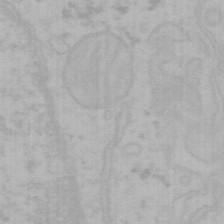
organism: Mouse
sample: Choroid plexus